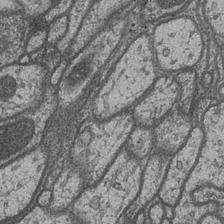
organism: Drosophila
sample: Optic medulla